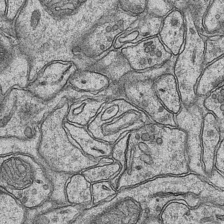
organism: Mouse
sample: CA1 Hippocampus